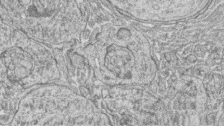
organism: Zebrafish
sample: synaptic ribbons in rod cells and cone cells